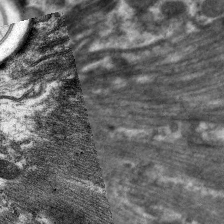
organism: C. elegans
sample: Pharynx